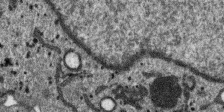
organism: Human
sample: Lung epithelial cells infected with SARS-CoV-2